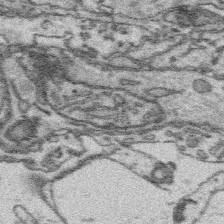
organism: Platynereis dumerilii